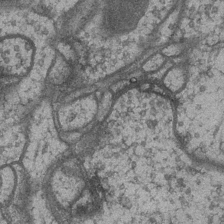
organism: Drosophila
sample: Optic medulla